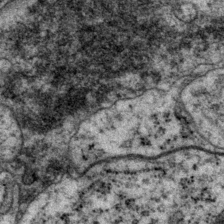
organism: P. pacificus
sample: Pharynx